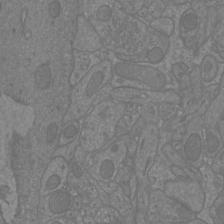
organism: Mouse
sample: Cortical neurons